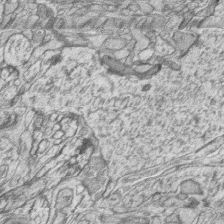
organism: Zebrafish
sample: synaptic ribbons in rod cells and cone cells